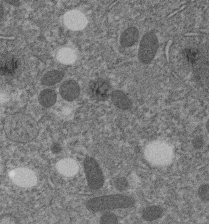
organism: C. elegans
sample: C. elegans embryo early stage